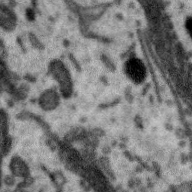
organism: Zebra finch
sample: Brain